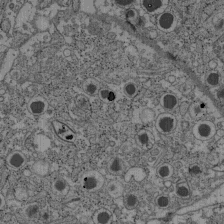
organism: C57BL Mouse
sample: Pancreatic islet